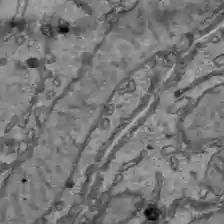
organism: C57BL Mouse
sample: Liver